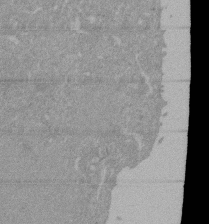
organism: Mouse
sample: ED-1 cell nuclei; centrioles